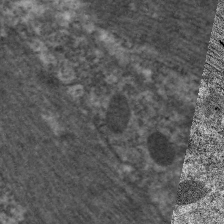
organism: C. elegans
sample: Pharynx